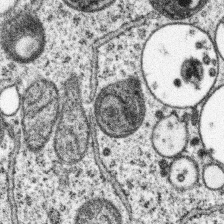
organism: Human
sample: HeLa cells